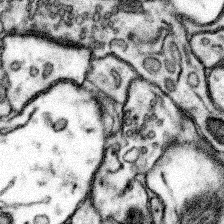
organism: Mouse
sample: Somatosensory cortex neuropil